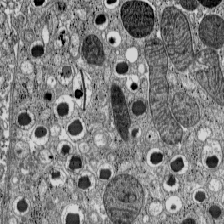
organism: C57BL Mouse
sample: Pancreatic islet